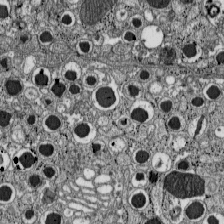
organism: C57BL Mouse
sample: Pancreatic islet